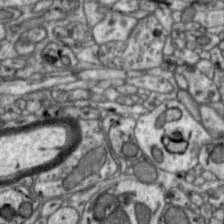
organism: Zebra finch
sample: Brain